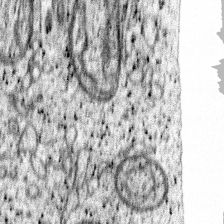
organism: Human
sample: HeLa cells